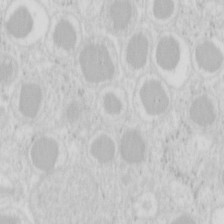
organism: Mouse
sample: Pancreas